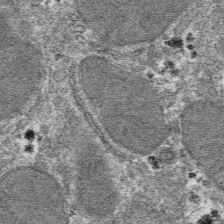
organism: Mouse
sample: Mouse hepatocytes